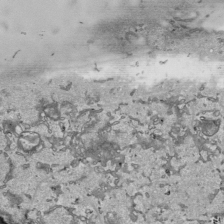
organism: Human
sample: Mitochondria in HCT116 cells